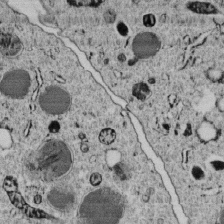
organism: C. elegans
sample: C. elegans embryo early stage